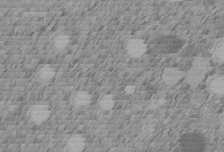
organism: C. elegans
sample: C. elegans embryo early stage